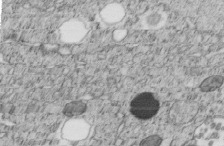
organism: C. elegans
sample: C. elegans embryo early stage